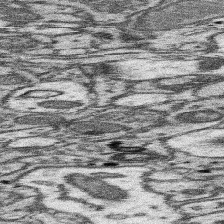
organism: Mouse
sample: Somatosensory cortex neuropil